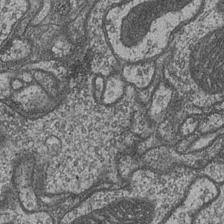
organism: Drosophila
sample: Optic medulla